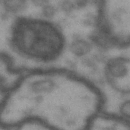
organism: Drosophila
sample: Brain